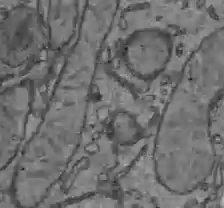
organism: C57BL Mouse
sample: Liver